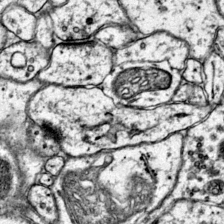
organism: Mouse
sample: Primary visual cortex